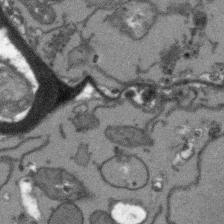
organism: Arabidopsis thaliana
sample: Root tip